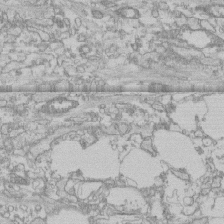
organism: Human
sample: CRL-1474